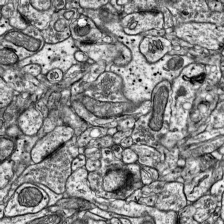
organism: Mouse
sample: Visual Cortex